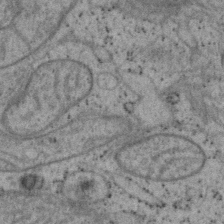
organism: Human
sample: HeLa cells